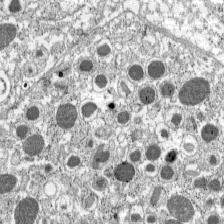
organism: C57BL Mouse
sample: Pancreatic islet